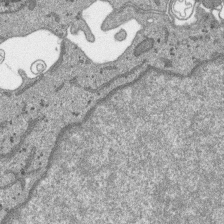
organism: Human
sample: Lung epithelial cells infected with SARS-CoV-2